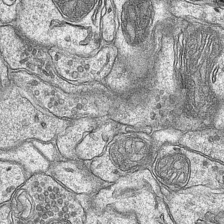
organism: Mouse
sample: CA1 Hippocampus